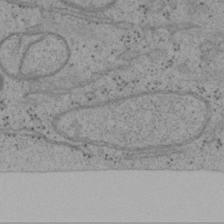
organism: Human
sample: HeLa cells